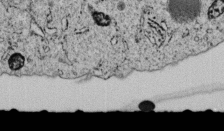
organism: C. elegans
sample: C. elegans embryo early stage